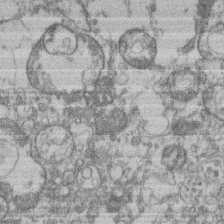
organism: Mouse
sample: T cell stromal cell synapse